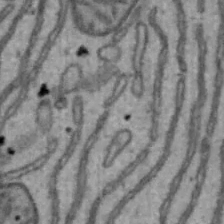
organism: Mouse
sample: Liver